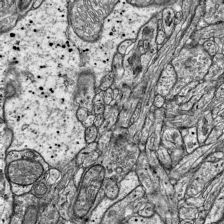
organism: Mouse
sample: Visual Cortex